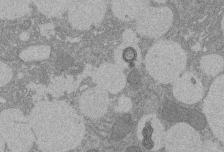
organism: Rat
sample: Salivary granule